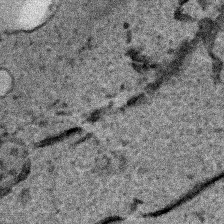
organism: Human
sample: Mitochondria in HCT116 cells